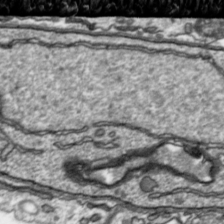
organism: Toxoplasma gondii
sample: Parasites in a vacuole inside a host cell